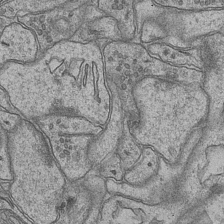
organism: Mouse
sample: CA1 Hippocampus